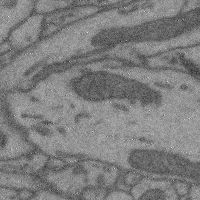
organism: Mouse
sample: Cerebral cortex